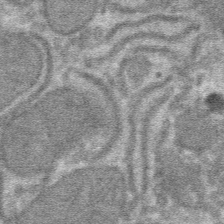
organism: Mouse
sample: Mouse hepatocytes